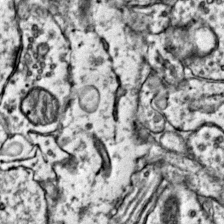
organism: Mouse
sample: Primary visual cortex